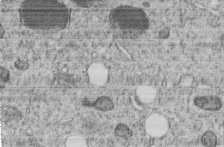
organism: C. elegans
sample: C. elegans embryo early stage